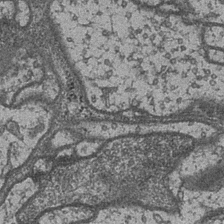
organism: Drosophila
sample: Optic medulla